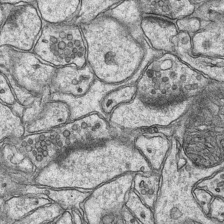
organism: Mouse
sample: CA1 Hippocampus